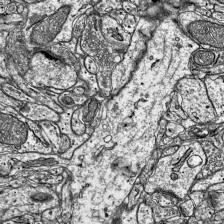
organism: Mouse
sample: Visual Cortex